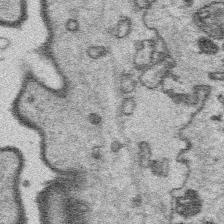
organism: Platynereis dumerilii